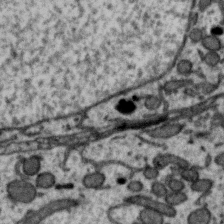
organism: Zebra finch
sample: Brain